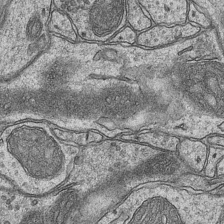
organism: Mouse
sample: CA1 Hippocampus